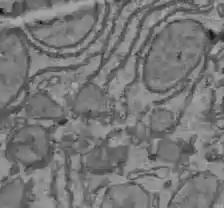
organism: C57BL Mouse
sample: Liver